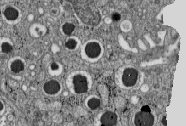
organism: C57BL Mouse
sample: Pancreatic islet